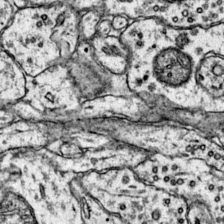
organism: Mouse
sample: Primary visual cortex